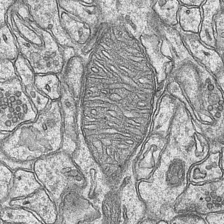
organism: Mouse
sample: CA1 Hippocampus